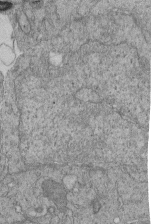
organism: Human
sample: Retinal organoid Rod and Cone cells